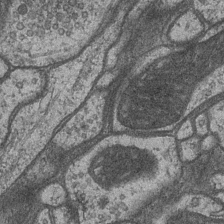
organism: Drosophila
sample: Optic medulla